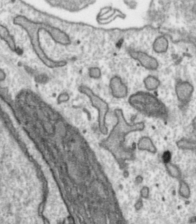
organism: Toxoplasma gondii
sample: Parasites in a vacuole inside a host cell